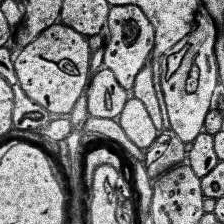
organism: Human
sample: Temporal Lobe